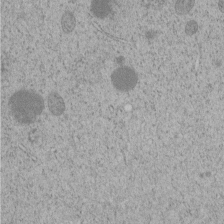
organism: C. elegans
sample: C. elegans embryo early stage